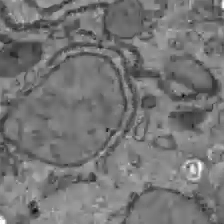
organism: C57BL Mouse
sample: Liver